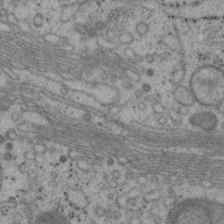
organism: Human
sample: HeLa cells